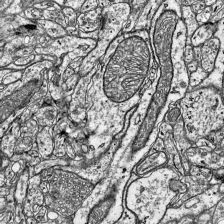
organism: Mouse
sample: Visual Cortex